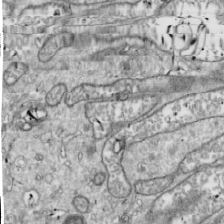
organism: Drosophila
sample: Cell division; meiosis; drosophila spermatocytes